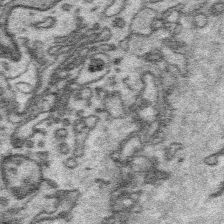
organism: Platynereis dumerilii